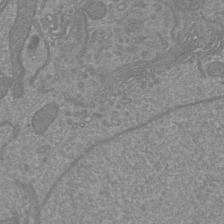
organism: Mouse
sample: Cortical neurons